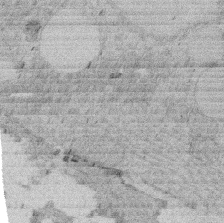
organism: Rat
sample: Salivary granule